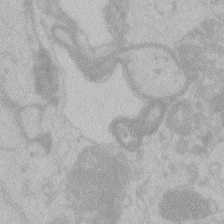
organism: Zebrafish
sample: Macrophage infected with Toxoplasma gondii